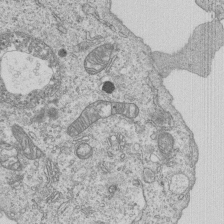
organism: Human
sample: MDA-MB-231 cells